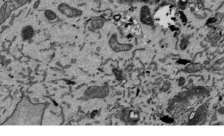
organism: Mouse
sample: ED-1 cell nuclei; centrioles